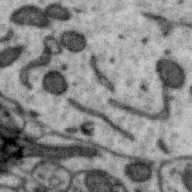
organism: Zebra finch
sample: Brain